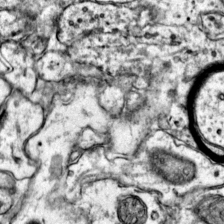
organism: Mouse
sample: Primary visual cortex